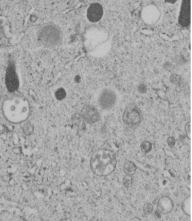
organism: C. elegans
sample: C. elegans embryo early stage